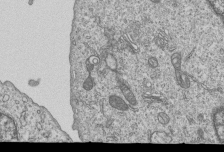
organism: Human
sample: MDA-MB-231 cells